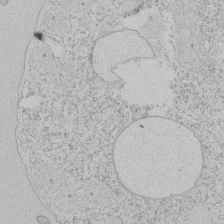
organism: Tetrahymena